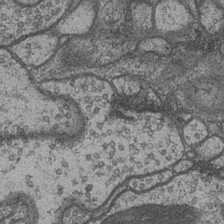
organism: Drosophila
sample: Optic medulla